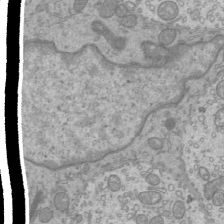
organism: Mouse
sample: Cilia; mouse epididymis